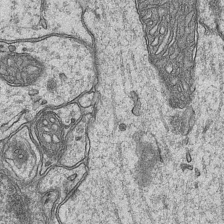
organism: Mouse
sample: CA1 Hippocampus